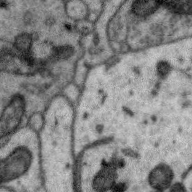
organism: Zebra finch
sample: Brain